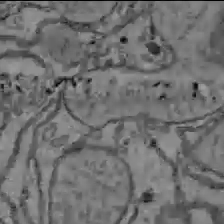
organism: C57BL Mouse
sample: Liver